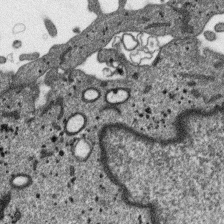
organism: Human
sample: Lung epithelial cells infected with SARS-CoV-2